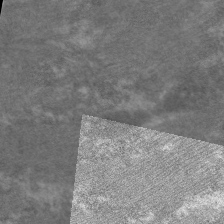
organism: C. elegans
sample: Pharynx